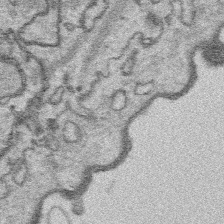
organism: Platynereis dumerilii